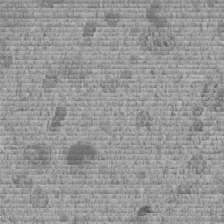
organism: C. elegans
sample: C. elegans embryo early stage